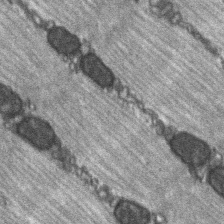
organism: C57BL Mouse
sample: Soleus